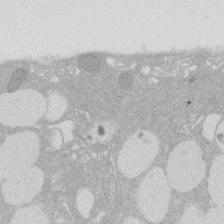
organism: Rat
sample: Salivary granule